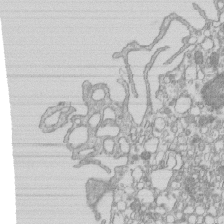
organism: Mouse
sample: Macrophages